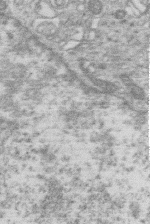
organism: Human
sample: Macrophage cells